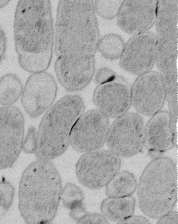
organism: E. coli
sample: Bacterial nucleoid